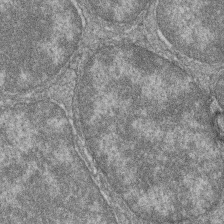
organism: Zebrafish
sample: Cilia; retinal pigment epithelium